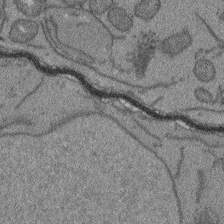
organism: Arabidopsis thaliana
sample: Root tip